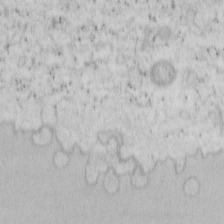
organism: Human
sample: HeLa cells